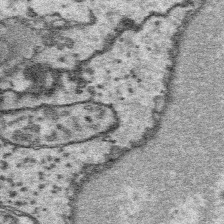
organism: Platynereis dumerilii